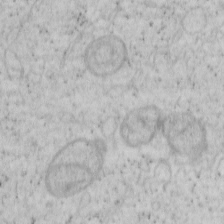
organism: Human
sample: HeLa cells